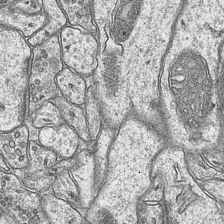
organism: Mouse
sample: CA1 Hippocampus